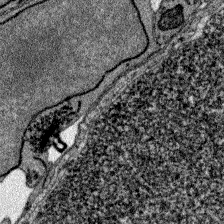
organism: Zebrafish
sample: Larval olfactory bulb